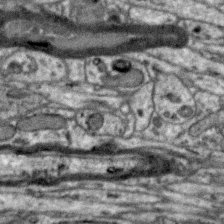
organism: Zebra finch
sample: Brain